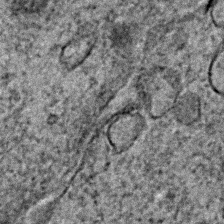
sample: Trachea